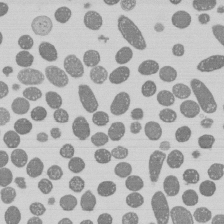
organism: E. coli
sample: Bacterial nucleoid